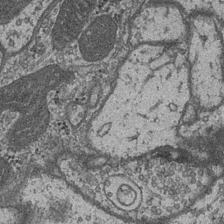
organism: Drosophila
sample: Optic medulla